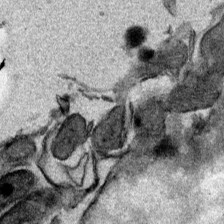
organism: Mouse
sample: Cancer cell death in ED-1 cells